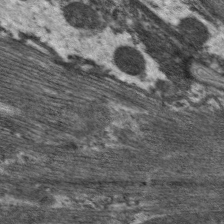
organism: C. elegans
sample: Pharynx